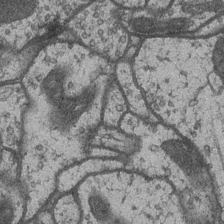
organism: Drosophila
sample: Optic medulla